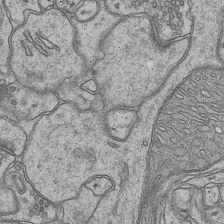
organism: Mouse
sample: CA1 Hippocampus